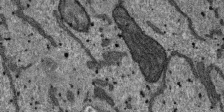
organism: Human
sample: Lung epithelial cells, uninfected (mock) control